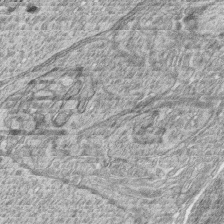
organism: Zebrafish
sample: synaptic ribbons in rod cells and cone cells